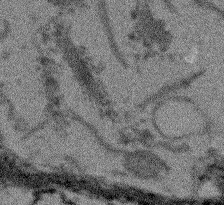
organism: Arabidopsis thaliana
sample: Root tip